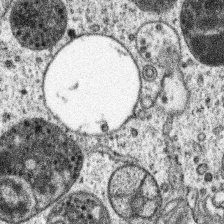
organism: Human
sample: HeLa cells